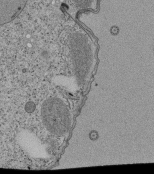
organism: Tetrahymena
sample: Cilia in tetrahymena